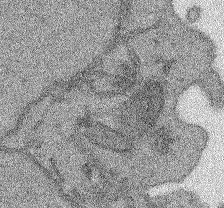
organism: Human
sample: HeLa cells